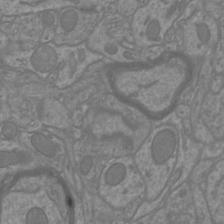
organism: Mouse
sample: Cortical neurons